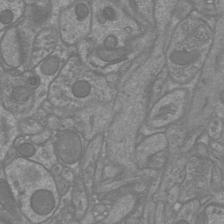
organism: Mouse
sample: Cortical neurons